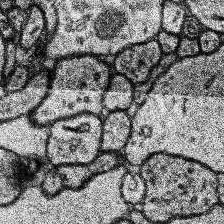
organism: Human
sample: Temporal Lobe